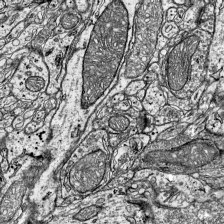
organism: Mouse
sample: Visual Cortex